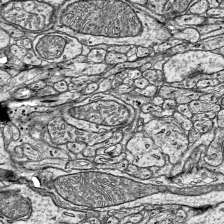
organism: Mouse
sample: Visual Cortex